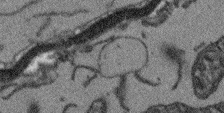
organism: Arabidopsis thaliana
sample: Root tip